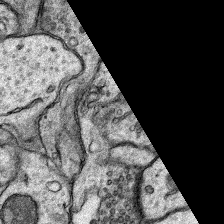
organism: Rat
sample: Hippocampus